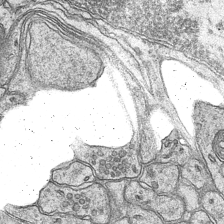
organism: Mouse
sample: CA1 Hippocampus